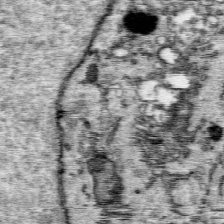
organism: Human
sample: HeLa cells